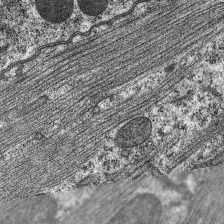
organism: C. elegans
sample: Pharynx